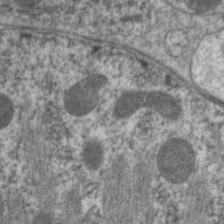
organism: C. elegans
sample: Pharynx